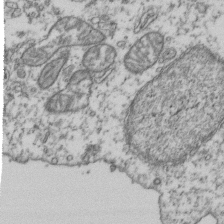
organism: Human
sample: Activated Jurkat CD4+ T cells